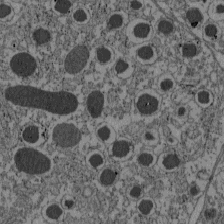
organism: C57BL Mouse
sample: Pancreatic islet